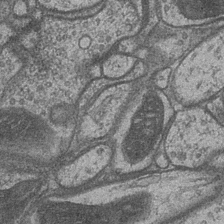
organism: Drosophila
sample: Optic medulla